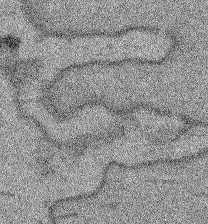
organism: Human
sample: HeLa cells